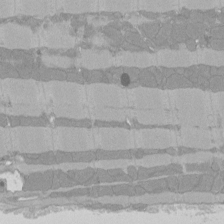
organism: Rat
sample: Left ventricle